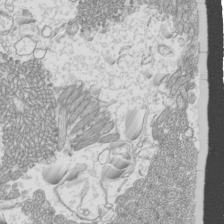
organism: Mouse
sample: Cilia; mouse epididymis